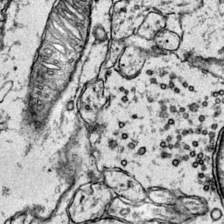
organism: Mouse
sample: Primary visual cortex